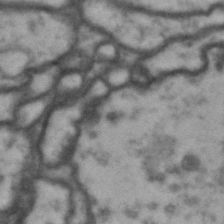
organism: Drosophila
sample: Brain